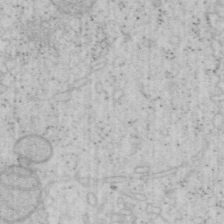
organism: Human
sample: HeLa cells